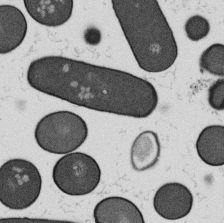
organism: B. subtilis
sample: Bacterial spore